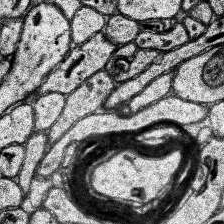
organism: Human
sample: Temporal Lobe